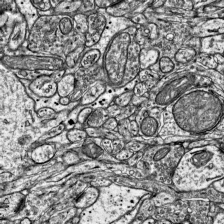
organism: Mouse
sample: Visual Cortex